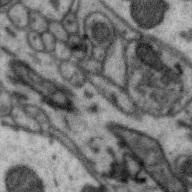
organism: Zebra finch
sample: Brain